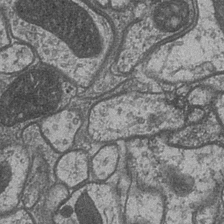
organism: Drosophila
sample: Optic medulla